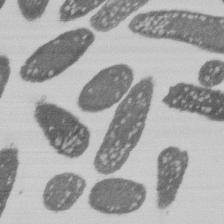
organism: E. coli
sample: Bacterial nucleoid